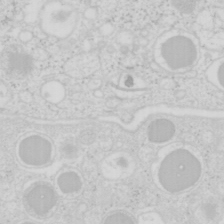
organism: Mouse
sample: Pancreas